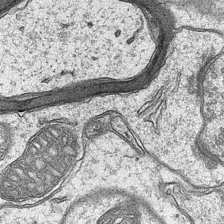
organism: Mouse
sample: CA1 Hippocampus